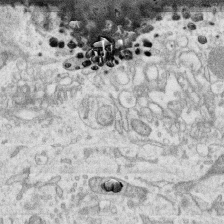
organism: Human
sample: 1205lu cells